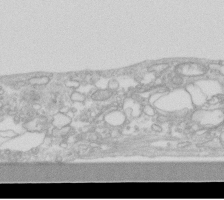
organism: Human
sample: Fibroblast cells